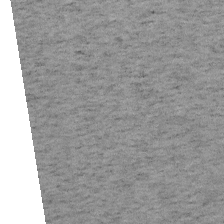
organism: Mouse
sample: OT-I killer T cells with ID8 ovarian cancer cells